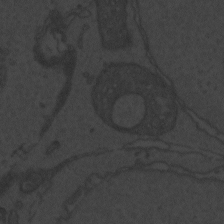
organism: Zebrafish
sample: Macrophage infected with Toxoplasma gondii